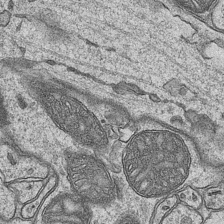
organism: Mouse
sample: CA1 Hippocampus